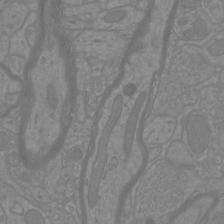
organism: Mouse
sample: Cortical neurons